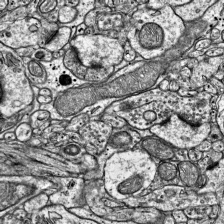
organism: Mouse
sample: Visual Cortex